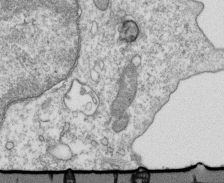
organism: Mouse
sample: Activated OT-1 CD8+ T cells